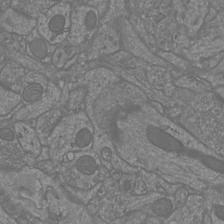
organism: Mouse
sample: Cortical neurons